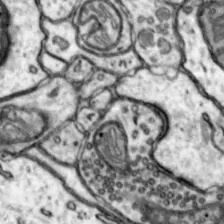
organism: Mouse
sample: Nucleus accumbens